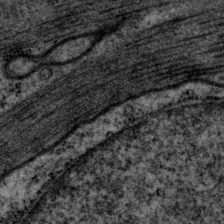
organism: P. pacificus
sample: Pharynx